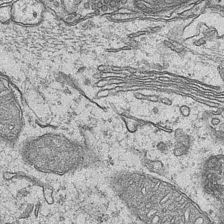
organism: Mouse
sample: CA1 Hippocampus